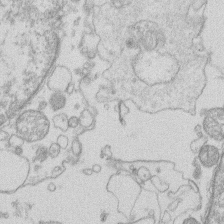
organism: Human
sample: Macrophage cells